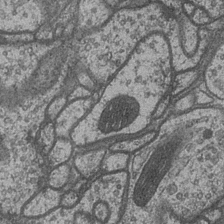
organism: Drosophila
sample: Optic medulla